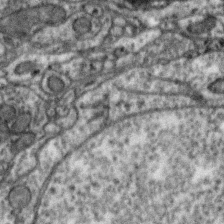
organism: Zebra finch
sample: Brain